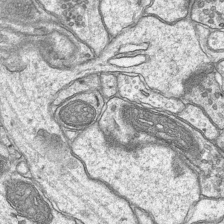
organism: Mouse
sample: CA1 Hippocampus